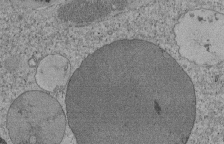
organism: Tetrahymena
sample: Cilia in tetrahymena